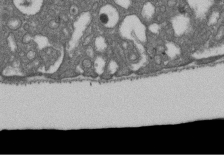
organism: Drosophila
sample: Nephrocyte